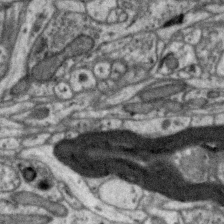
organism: Zebra finch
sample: Brain